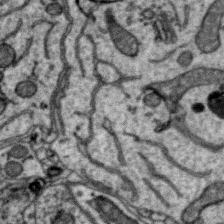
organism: Zebra finch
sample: Brain